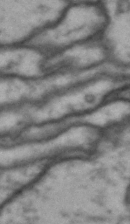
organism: Drosophila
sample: Brain